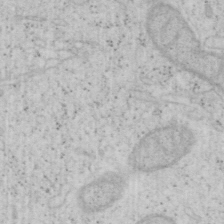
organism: Human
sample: HeLa cells